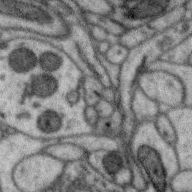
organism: Zebra finch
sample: Brain